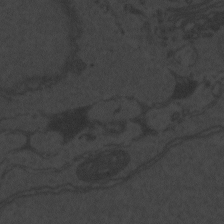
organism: Zebrafish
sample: Macrophage infected with Toxoplasma gondii